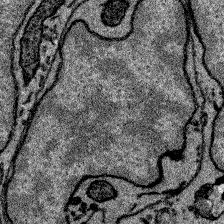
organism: Zebrafish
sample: Larval olfactory bulb